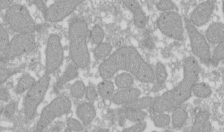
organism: Xenopus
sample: Cilia; centrioles in frog embryo cells